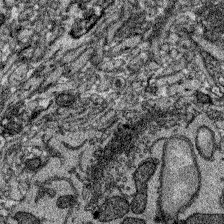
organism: Zebrafish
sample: Larval olfactory bulb